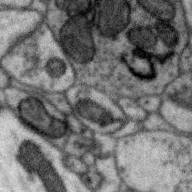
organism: Zebra finch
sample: Brain